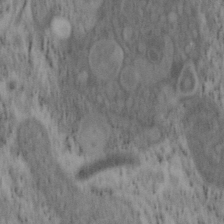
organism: Mouse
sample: OT-I killer T cells with ID8 ovarian cancer cells